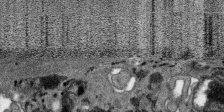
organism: Human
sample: Lung epithelial cells, uninfected (mock) control